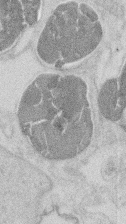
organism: Mouse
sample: T cell stromal cell synapse